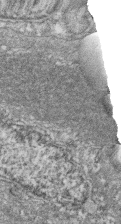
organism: Zebrafish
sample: Cilia; retinal pigment epithelium